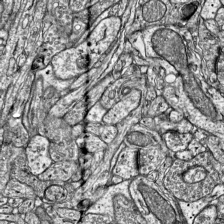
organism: Mouse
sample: Visual Cortex